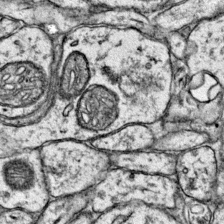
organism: Mouse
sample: Primary visual cortex